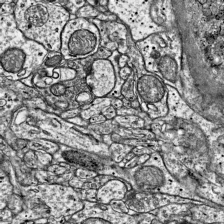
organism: Mouse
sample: Visual Cortex